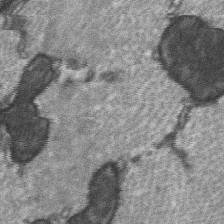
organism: C57BL Mouse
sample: Soleus